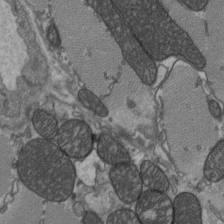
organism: C57BL Mouse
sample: Heart